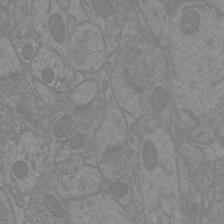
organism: Mouse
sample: Cortical neurons